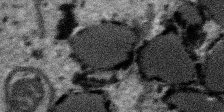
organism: Human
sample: Lung epithelial cells infected with SARS-CoV-2